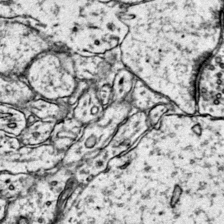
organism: Mouse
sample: Primary visual cortex